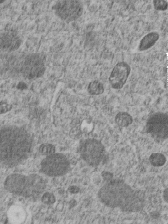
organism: C. elegans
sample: C. elegans embryo early stage